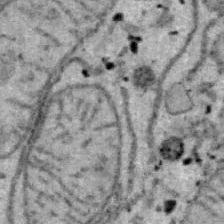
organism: Mouse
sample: Liver from an obese (ob/ob) mouse